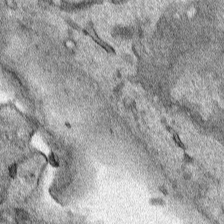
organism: Human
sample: Mitochondria in HCT116 cells